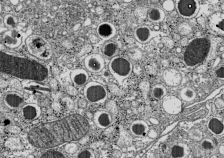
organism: C57BL Mouse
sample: Pancreatic islet